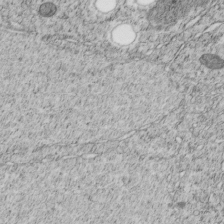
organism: C. elegans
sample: C. elegans embryo early stage